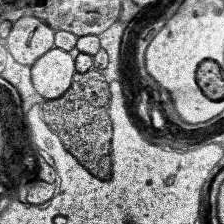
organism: Human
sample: Temporal Lobe